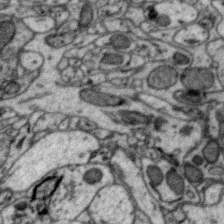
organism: Zebra finch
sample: Brain